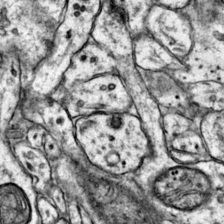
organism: Mouse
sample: Primary visual cortex